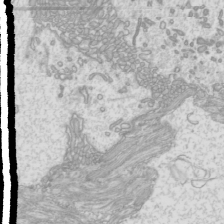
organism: Mouse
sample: Cilia; mouse epididymis